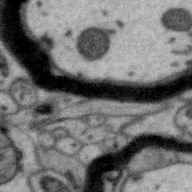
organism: Zebra finch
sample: Brain